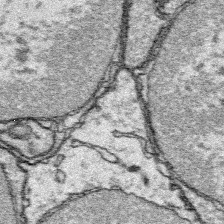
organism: Platynereis dumerilii